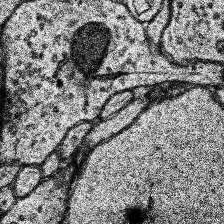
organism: Human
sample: Temporal Lobe